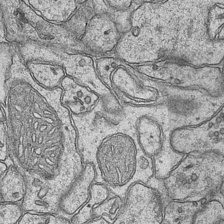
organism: Mouse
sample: CA1 Hippocampus